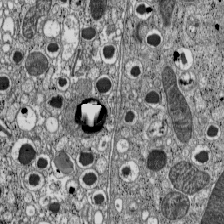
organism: C57BL Mouse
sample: Pancreatic islet